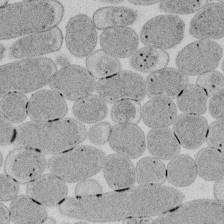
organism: E. coli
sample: Bacterial nucleoid